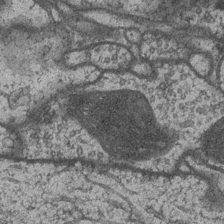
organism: Drosophila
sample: Optic medulla